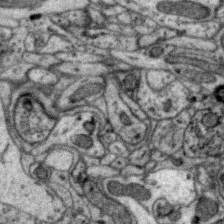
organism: Zebra finch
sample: Brain